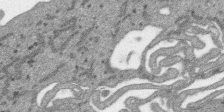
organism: Human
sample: Lung epithelial cells infected with SARS-CoV-2